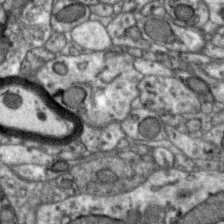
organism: Zebra finch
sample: Brain